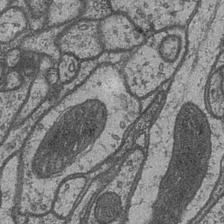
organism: Drosophila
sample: Optic medulla